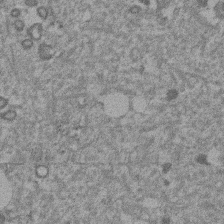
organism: Mouse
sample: Dividing mouse embryo 1 cell stage